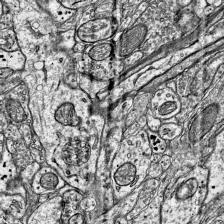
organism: Mouse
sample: Visual Cortex